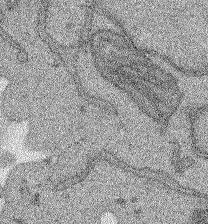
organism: Human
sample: HeLa cells